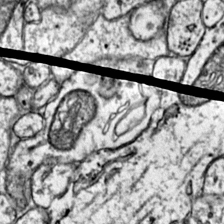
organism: Mouse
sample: Primary visual cortex